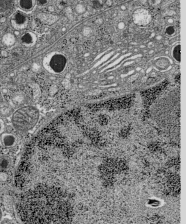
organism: C57BL Mouse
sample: Pancreatic islet